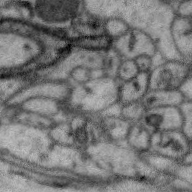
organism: Zebra finch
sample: Brain